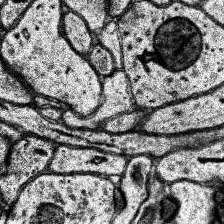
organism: Human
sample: Temporal Lobe